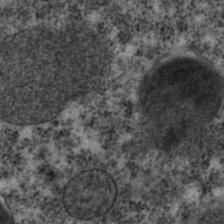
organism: C. elegans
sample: C. elegans embryo